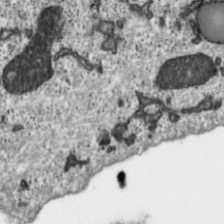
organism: Toxoplasma gondii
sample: Parasites in a vacuole inside a host cell